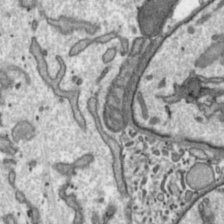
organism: Toxoplasma gondii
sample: Parasites in a vacuole inside a host cell